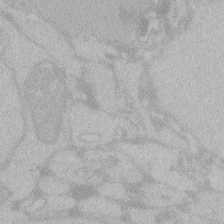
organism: Zebrafish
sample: Macrophage infected with Toxoplasma gondii